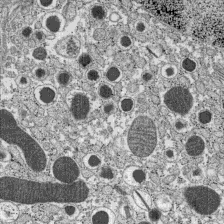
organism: C57BL Mouse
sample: Pancreatic islet